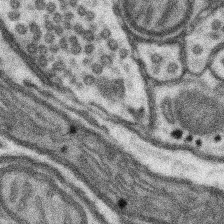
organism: Mouse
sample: Somatosensory cortex neuropil